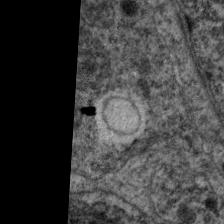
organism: C. elegans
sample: Pharynx